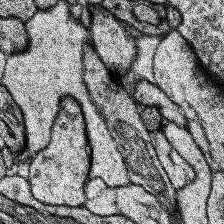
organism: Human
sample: Temporal Lobe